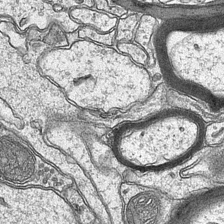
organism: Mouse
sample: CA1 Hippocampus